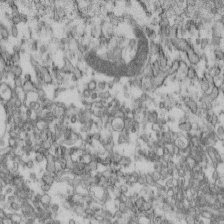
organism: Mouse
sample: Cilia; retinal pigment epithelium